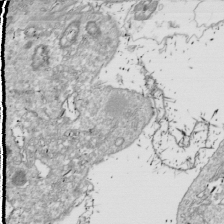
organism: Drosophila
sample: Cell division; meiosis; drosophila spermatocytes